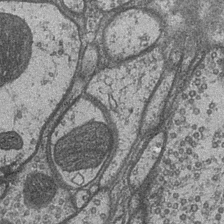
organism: Drosophila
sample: Optic medulla